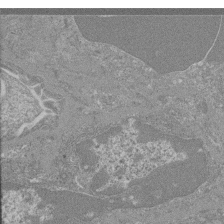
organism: Mouse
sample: Glomerulus